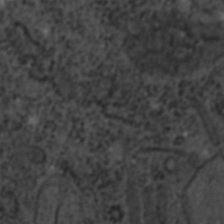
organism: C. elegans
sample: C. elegans embryo